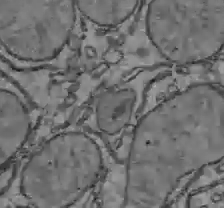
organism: C57BL Mouse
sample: Liver